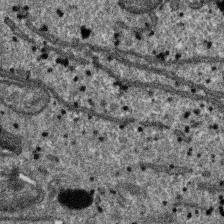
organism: Human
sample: Lung epithelial cells infected with SARS-CoV-2